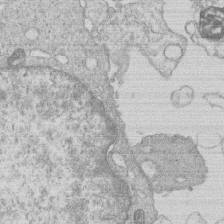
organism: Human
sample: Macrophage cells